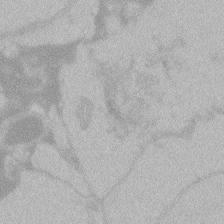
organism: Zebrafish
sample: Macrophage infected with Toxoplasma gondii